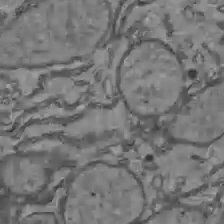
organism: C57BL Mouse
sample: Liver